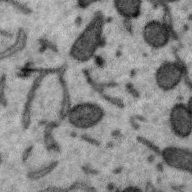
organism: Zebra finch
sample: Brain